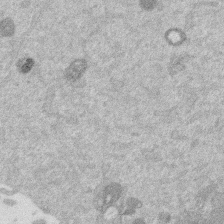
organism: Mouse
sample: Dividing mouse embryo 1 cell stage